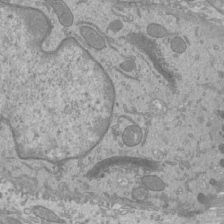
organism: Mouse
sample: Cilia; mouse epididymis